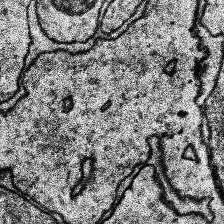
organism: Human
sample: Temporal Lobe